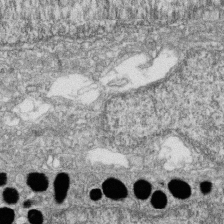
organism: Zebrafish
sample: Cilia; retinal pigment epithelium